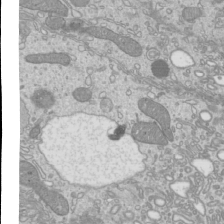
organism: Mouse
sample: Cilia; mouse epididymis